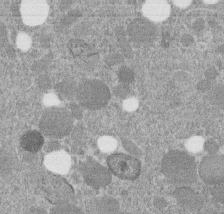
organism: C. elegans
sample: C. elegans embryo early stage